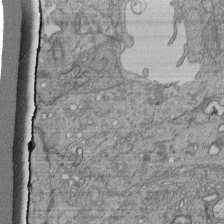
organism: Human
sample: Retinal organoid Rod and Cone cells